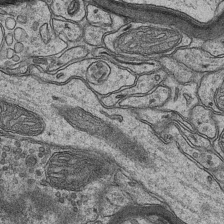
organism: Mouse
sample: CA1 Hippocampus